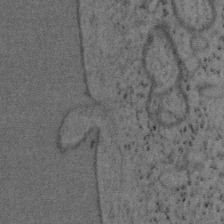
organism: Human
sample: HeLa cells